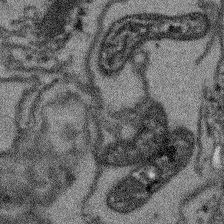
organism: Arabidopsis thaliana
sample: Root tip